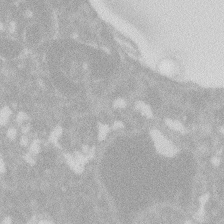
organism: Zebrafish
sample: Macrophage